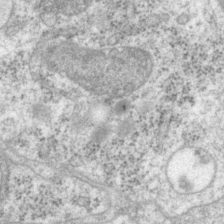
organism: P. pacificus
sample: Pharynx